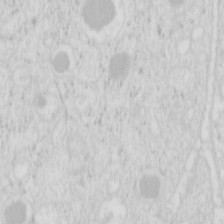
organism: Mouse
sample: Pancreas